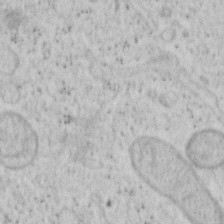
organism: Human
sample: HeLa cells